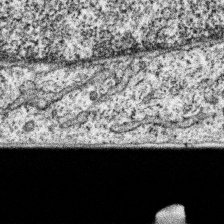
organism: Human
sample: HeLa cells